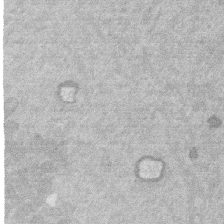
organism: Mouse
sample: Dividing mouse embryo 1 cell stage